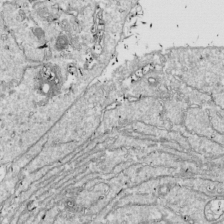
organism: Drosophila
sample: Cell division; meiosis; drosophila spermatocytes